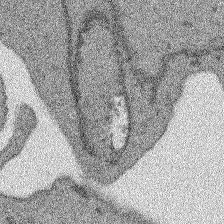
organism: Human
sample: HeLa cells